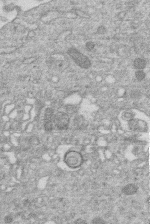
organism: Human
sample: Macrophage cells